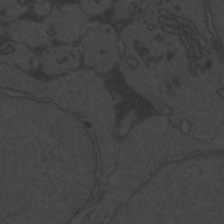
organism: Zebrafish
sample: Macrophage infected with Toxoplasma gondii